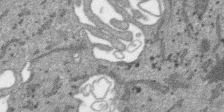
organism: Human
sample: Lung epithelial cells infected with SARS-CoV-2